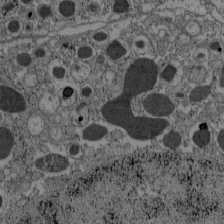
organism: C57BL Mouse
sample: Pancreatic islet